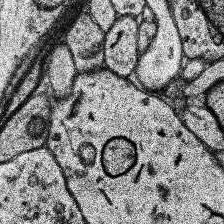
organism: Human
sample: Temporal Lobe